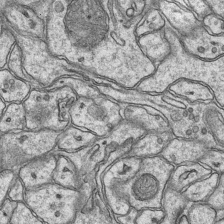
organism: Mouse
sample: CA1 Hippocampus